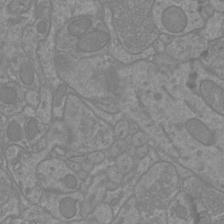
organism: Mouse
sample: Cortical neurons